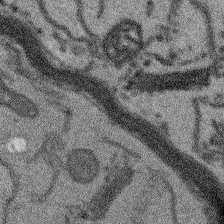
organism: Arabidopsis thaliana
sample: Root tip